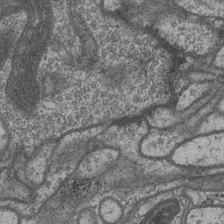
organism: Drosophila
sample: Optic medulla